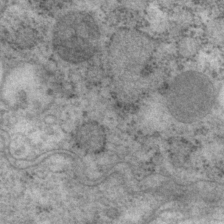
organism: P. pacificus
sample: Pharynx